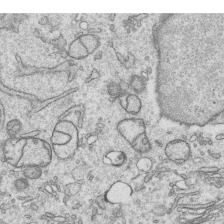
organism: Human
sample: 1205lu cells